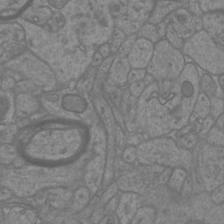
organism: Mouse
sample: Cortical neurons